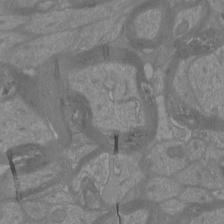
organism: Mouse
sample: Cortical neurons